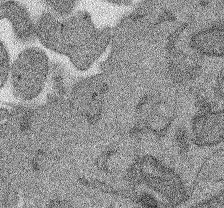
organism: Human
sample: HeLa cells